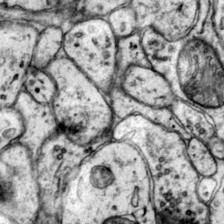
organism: Mouse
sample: Primary visual cortex